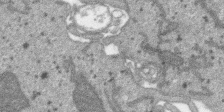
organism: Human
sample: Lung epithelial cells infected with SARS-CoV-2